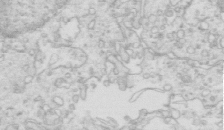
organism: Mouse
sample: Multiciliated cells